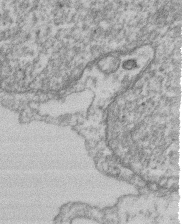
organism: Mouse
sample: T cell stromal cell synapse